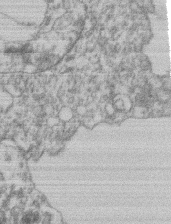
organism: Mouse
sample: T cell stromal cell synapse